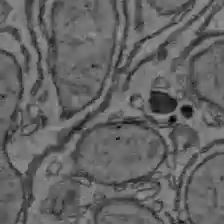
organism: C57BL Mouse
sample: Liver